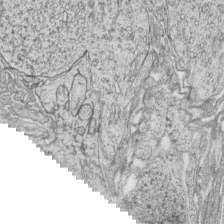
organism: Zebrafish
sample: synaptic ribbons in rod cells and cone cells